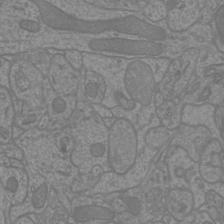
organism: Mouse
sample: Cortical neurons